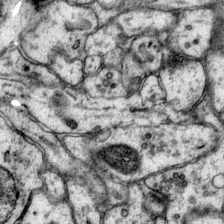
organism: Mouse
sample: Primary visual cortex